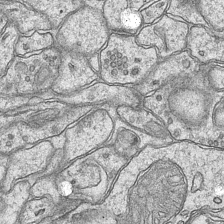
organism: Mouse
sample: CA1 Hippocampus